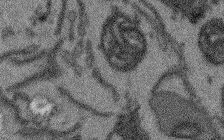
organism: Arabidopsis thaliana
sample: Root tip